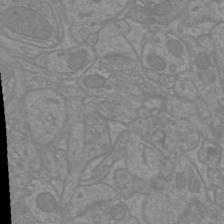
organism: Mouse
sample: Cortical neurons